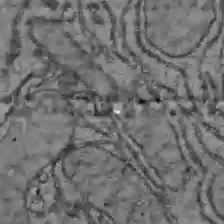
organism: C57BL Mouse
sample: Liver